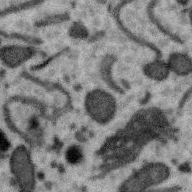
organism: Zebra finch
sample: Brain